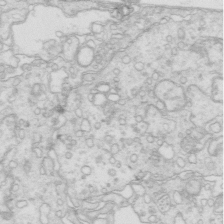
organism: Mouse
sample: Multiciliated cells